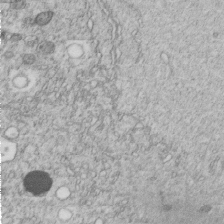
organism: C. elegans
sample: C. elegans embryo early stage